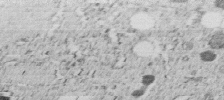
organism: C. elegans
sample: C. elegans embryo early stage